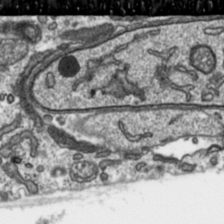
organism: Toxoplasma gondii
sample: Parasites in a vacuole inside a host cell